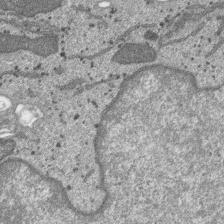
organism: Human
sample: Lung epithelial cells infected with SARS-CoV-2